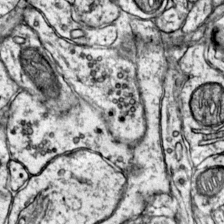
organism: Mouse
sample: Primary visual cortex